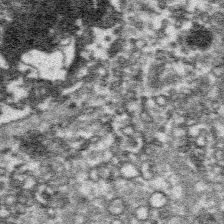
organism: Platynereis dumerilii